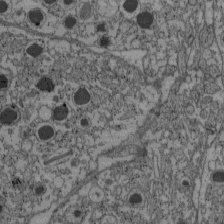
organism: C57BL Mouse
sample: Pancreatic islet